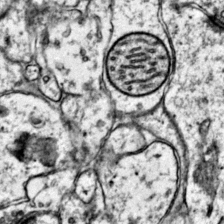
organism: Mouse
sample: Primary visual cortex